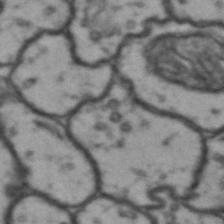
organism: Drosophila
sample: Brain